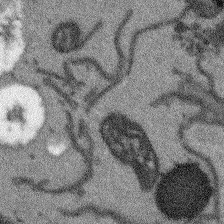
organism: Arabidopsis thaliana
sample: Root tip